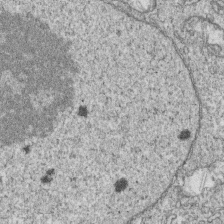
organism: Human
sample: HeLa cell HIV synapse